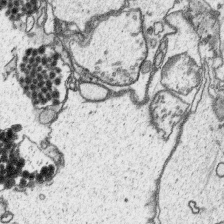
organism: Platynereis dumerilii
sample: Parapodia